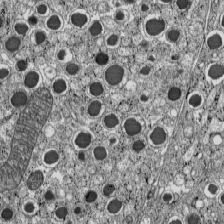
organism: C57BL Mouse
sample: Pancreatic islet